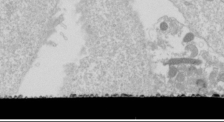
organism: Drosophila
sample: Cell division; meiosis; drosophila spermatocytes